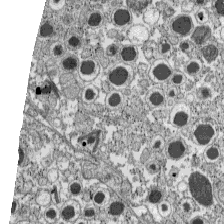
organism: C57BL Mouse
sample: Pancreatic islet